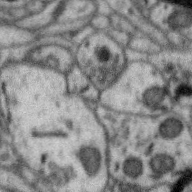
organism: Zebra finch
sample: Brain